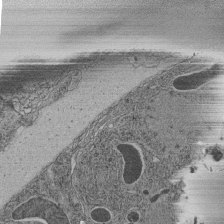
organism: C. elegans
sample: C. elegans pharynx